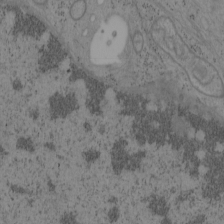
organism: Mouse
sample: OT-I killer T cells with ID8 ovarian cancer cells